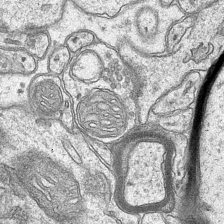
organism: Mouse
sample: CA1 Hippocampus